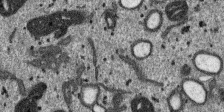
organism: Human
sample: Lung epithelial cells infected with SARS-CoV-2